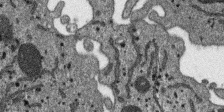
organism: Human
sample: Lung epithelial cells infected with SARS-CoV-2